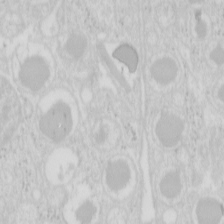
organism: Mouse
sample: Pancreas